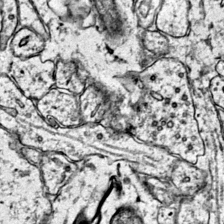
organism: Mouse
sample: Primary visual cortex